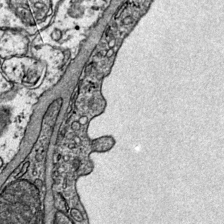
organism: Mouse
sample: Primary visual cortex